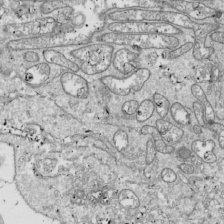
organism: Drosophila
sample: Cell division; meiosis; drosophila spermatocytes